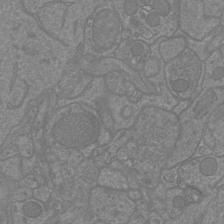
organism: Mouse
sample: Cortical neurons